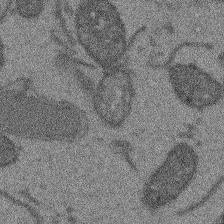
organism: Arabidopsis thaliana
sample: Root tip